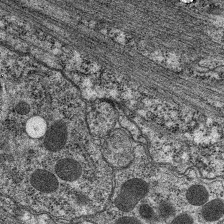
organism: C. elegans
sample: Pharynx